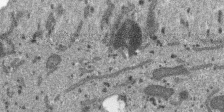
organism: Human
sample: Lung epithelial cells infected with SARS-CoV-2